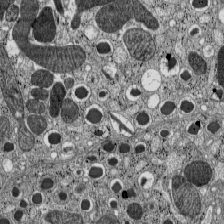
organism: C57BL Mouse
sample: Pancreatic islet